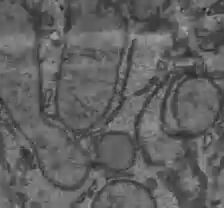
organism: C57BL Mouse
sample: Liver